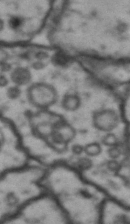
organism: Drosophila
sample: Brain